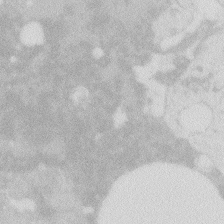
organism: Zebrafish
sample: Macrophage